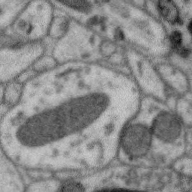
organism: Zebra finch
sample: Brain